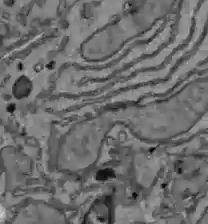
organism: C57BL Mouse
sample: Liver